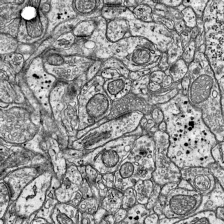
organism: Mouse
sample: Visual Cortex